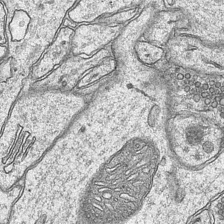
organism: Mouse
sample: CA1 Hippocampus